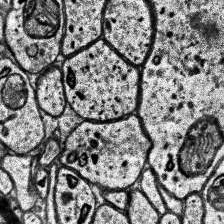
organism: Human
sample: Temporal Lobe